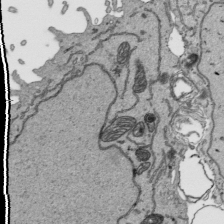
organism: Human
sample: Mitochondria in HCT116 cells